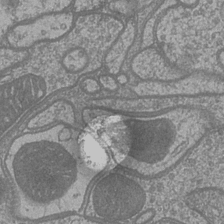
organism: Drosophila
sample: Optic medulla